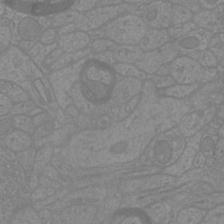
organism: Mouse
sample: Cortical neurons